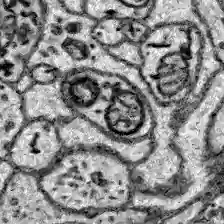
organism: Zebrafish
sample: Brain